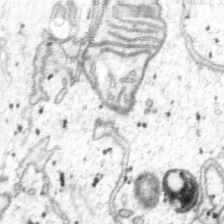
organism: Human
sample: HeLa cells